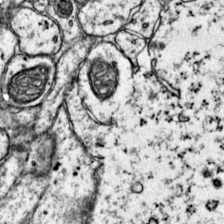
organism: Mouse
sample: Primary visual cortex